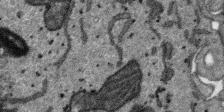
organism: Human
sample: Lung epithelial cells, uninfected (mock) control